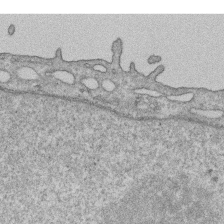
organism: Human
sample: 1205lu cells